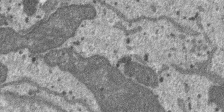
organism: Human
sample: Lung epithelial cells infected with SARS-CoV-2